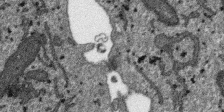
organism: Human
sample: Lung epithelial cells infected with SARS-CoV-2